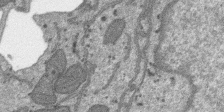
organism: Human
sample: Lung epithelial cells infected with SARS-CoV-2